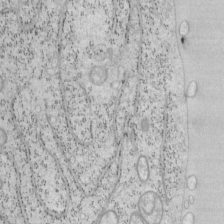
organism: Mouse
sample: OT-I killer T cells with ID8 ovarian cancer cells